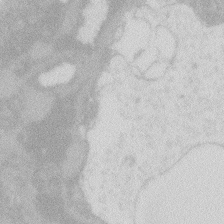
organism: Zebrafish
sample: Macrophage